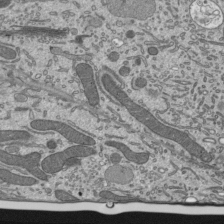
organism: Mouse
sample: Mouse epididymis efferent ductule cilia